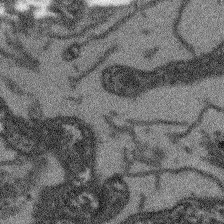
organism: Arabidopsis thaliana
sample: Root tip